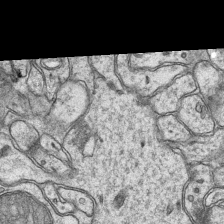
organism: Mouse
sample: CA1 Hippocampus